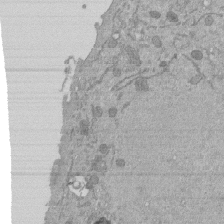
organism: Mouse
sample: ED-1 cell nuclei; centrioles